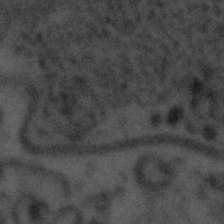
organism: Tuwongella immobilis